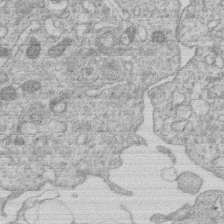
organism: Human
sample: Macrophage cells